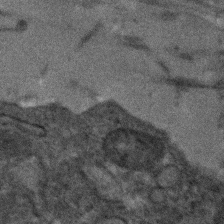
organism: Human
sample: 1205lu cells